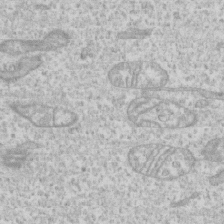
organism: Human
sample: CRL-1474